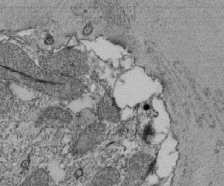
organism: Tetrahymena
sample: Cilia in tetrahymena